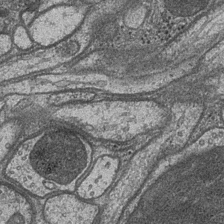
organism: Drosophila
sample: Optic medulla